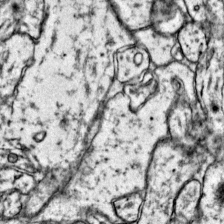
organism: Mouse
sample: Primary visual cortex